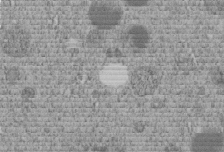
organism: C. elegans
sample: C. elegans embryo early stage